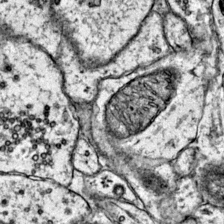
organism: Mouse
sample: Primary visual cortex